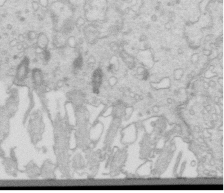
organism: Mouse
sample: Multiciliated cells